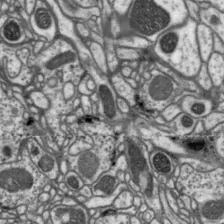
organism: Drosophila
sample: Protocerebral bridge